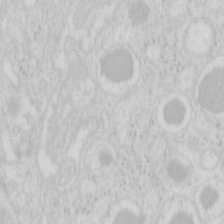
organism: Mouse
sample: Pancreas